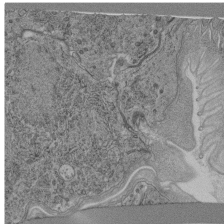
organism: C. elegans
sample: C. elegans pharynx